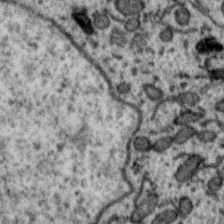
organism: Zebra finch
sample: Brain